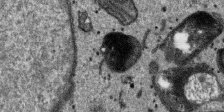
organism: Human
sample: Lung epithelial cells, uninfected (mock) control